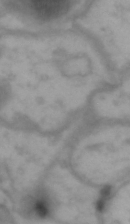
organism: Drosophila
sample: Brain